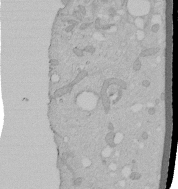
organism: Human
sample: Melanocyte Keratinocyte synapse skin construct